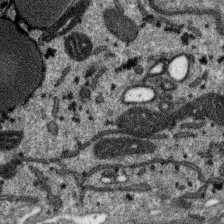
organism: Human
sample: Lung epithelial cells infected with SARS-CoV-2